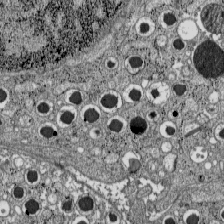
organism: C57BL Mouse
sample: Pancreatic islet